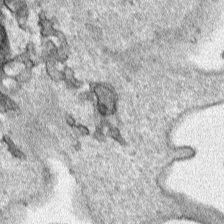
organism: Human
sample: Mitochondria in HCT116 cells